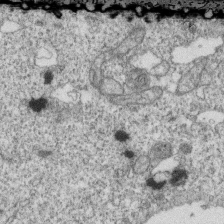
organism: Human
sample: HeLa cell HIV synapse